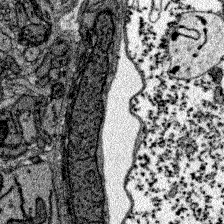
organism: Zebrafish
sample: Larval olfactory bulb